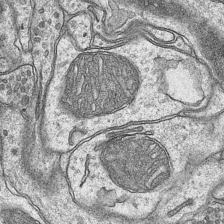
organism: Mouse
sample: CA1 Hippocampus